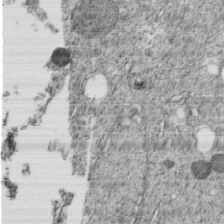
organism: C. elegans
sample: C. elegans embryo early stage